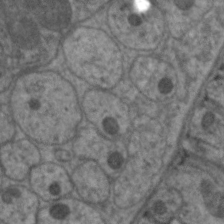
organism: C. elegans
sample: Pharynx